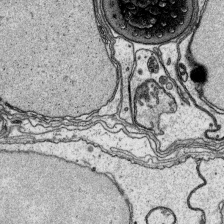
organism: Platynereis dumerilii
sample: Parapodia